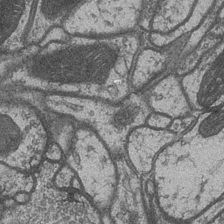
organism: Drosophila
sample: Optic medulla